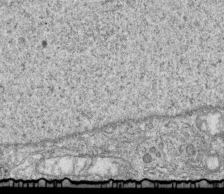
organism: Human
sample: HeLa cell HIV synapse